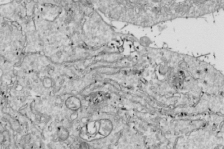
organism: Drosophila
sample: Cell division; meiosis; drosophila spermatocytes